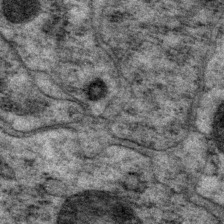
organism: P. pacificus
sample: Pharynx